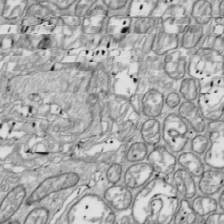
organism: Drosophila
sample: Cell division; meiosis; drosophila spermatocytes